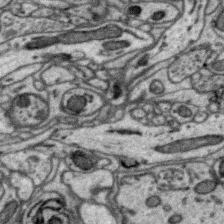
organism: Zebra finch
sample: Brain